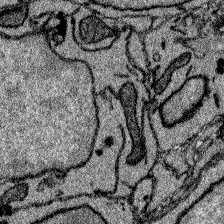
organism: Zebrafish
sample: Larval olfactory bulb